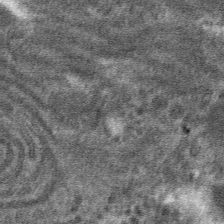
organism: Mouse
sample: Mouse hepatocytes